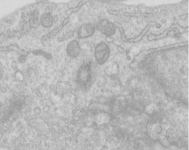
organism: Human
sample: Centriole in RPE cells